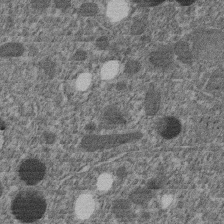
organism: C. elegans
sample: C. elegans embryo early stage